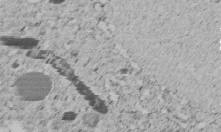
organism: C. elegans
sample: C. elegans embryo early stage